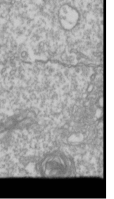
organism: Drosophila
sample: Cell division; meiosis; drosophila spermatocytes